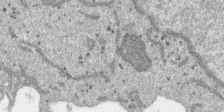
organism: Human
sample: Lung epithelial cells infected with SARS-CoV-2